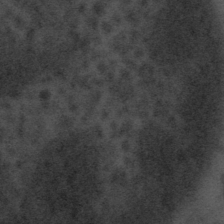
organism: Tuwongella immobilis